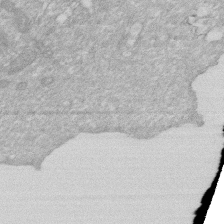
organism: Human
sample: HIV infected U937 cells